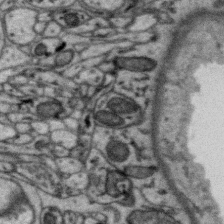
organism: Zebra finch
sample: Brain